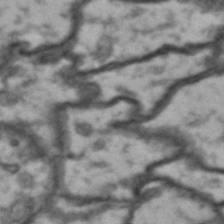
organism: Drosophila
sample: Brain